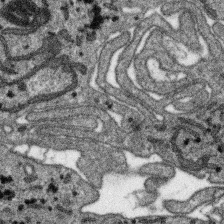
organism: Human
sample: Lung epithelial cells infected with SARS-CoV-2